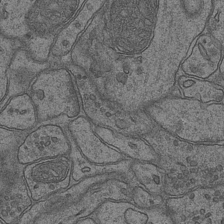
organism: Mouse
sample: CA1 Hippocampus